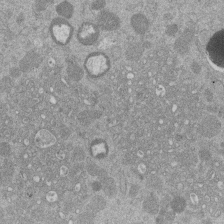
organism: Mouse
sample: Dividing mouse embryo 1 cell stage